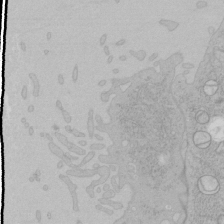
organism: Human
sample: Mitochondria in HCT116 cells